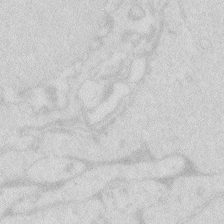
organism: Zebrafish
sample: Macrophage